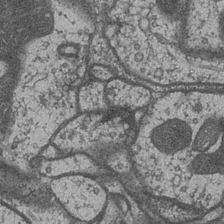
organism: Drosophila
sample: Optic medulla